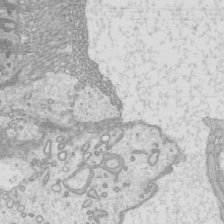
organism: Mouse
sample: Cilia; mouse epididymis